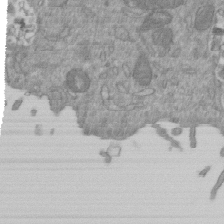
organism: Mouse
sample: ED-1 cell nuclei; centrioles